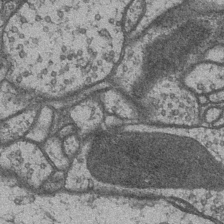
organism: Drosophila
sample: Optic medulla